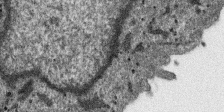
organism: Human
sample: Lung epithelial cells infected with SARS-CoV-2